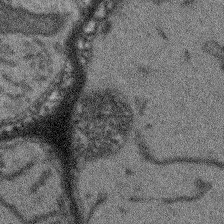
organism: Arabidopsis thaliana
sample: Root tip